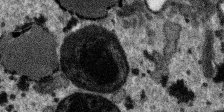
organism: Human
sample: Lung epithelial cells infected with SARS-CoV-2